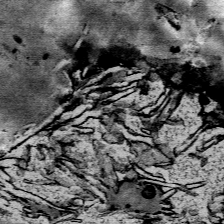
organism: Mouse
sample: Mouse Salivary gland